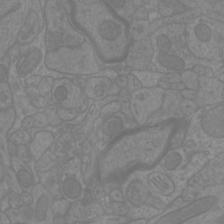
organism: Mouse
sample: Cortical neurons